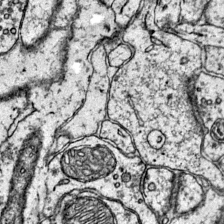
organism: Mouse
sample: Primary visual cortex